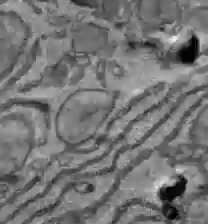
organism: C57BL Mouse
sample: Liver